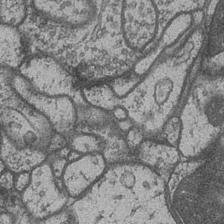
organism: Drosophila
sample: Optic medulla